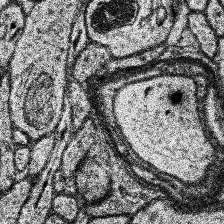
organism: Human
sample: Temporal Lobe